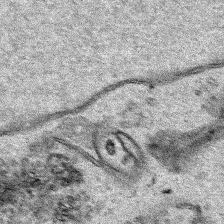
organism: Human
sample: Mitochondria in HCT116 cells